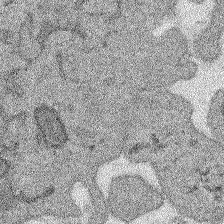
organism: Human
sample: HeLa cells